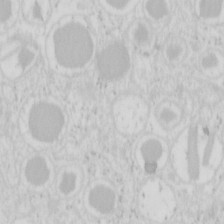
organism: Mouse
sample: Pancreas